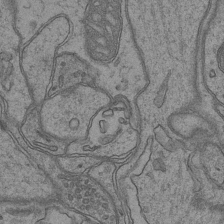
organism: Mouse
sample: CA1 Hippocampus